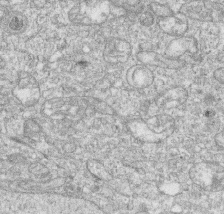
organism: Human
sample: HeLa cell HIV synapse